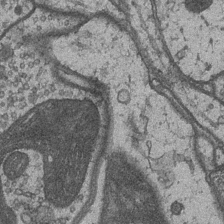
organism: Drosophila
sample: Optic medulla